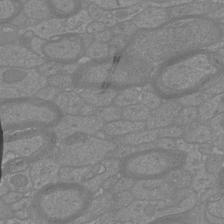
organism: Mouse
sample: Cortical neurons